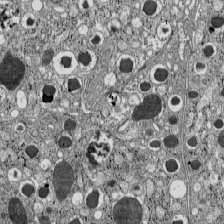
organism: C57BL Mouse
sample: Pancreatic islet